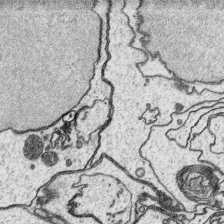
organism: Platynereis dumerilii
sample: Parapodia